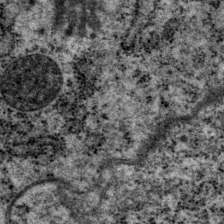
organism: P. pacificus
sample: Pharynx